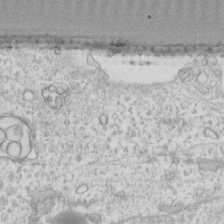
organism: Human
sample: Fibroblast cells